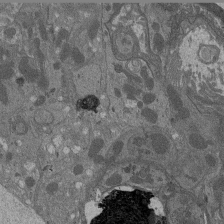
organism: Drosophila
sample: Antenna